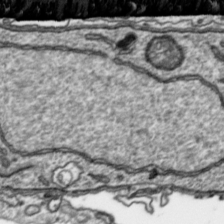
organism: Toxoplasma gondii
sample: Parasites in a vacuole inside a host cell